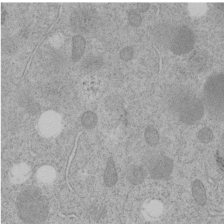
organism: C. elegans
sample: C. elegans embryo early stage